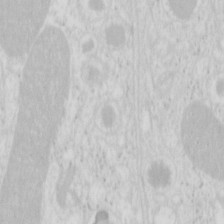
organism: Mouse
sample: Pancreas